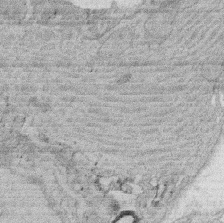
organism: Rat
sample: Salivary granule